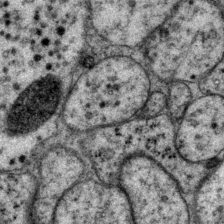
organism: P. pacificus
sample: Pharynx